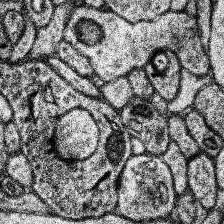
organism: Human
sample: Temporal Lobe